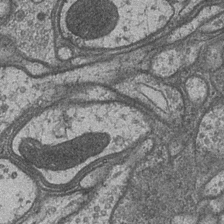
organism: Drosophila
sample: Optic medulla